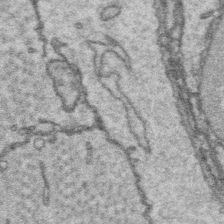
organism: Platynereis dumerilii